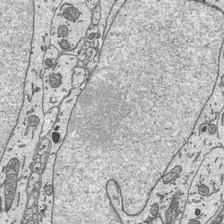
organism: Mouse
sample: Suprachiasmatic nucleus